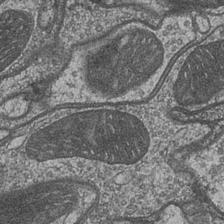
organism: Drosophila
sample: Optic medulla